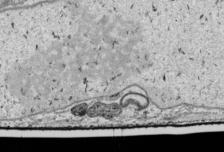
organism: Human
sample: Mitochondria in HCT116 cells